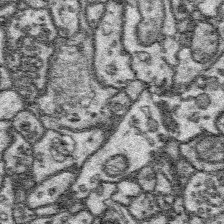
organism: Platynereis dumerilii